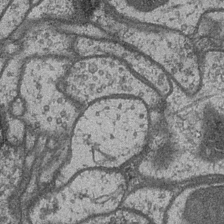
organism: Drosophila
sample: Optic medulla